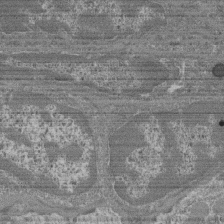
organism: Mouse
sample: Glomerulus